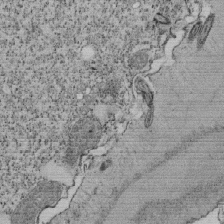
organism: Tetrahymena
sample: Cilia in tetrahymena